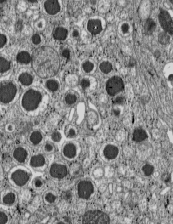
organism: C57BL Mouse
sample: Pancreatic islet